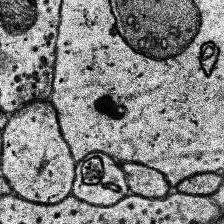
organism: Human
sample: Temporal Lobe